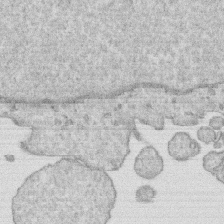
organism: Human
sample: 1205lu cells